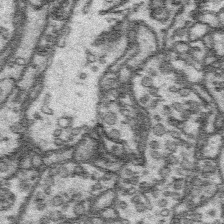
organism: Platynereis dumerilii